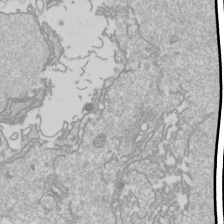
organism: Drosophila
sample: Cell division; meiosis; drosophila spermatocytes